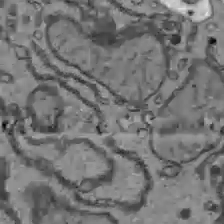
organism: C57BL Mouse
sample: Liver